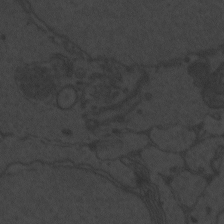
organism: Zebrafish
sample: Macrophage infected with Toxoplasma gondii